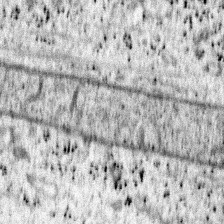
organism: Human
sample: HeLa cells